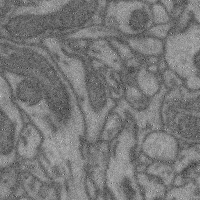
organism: Mouse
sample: Cerebral cortex